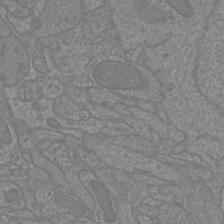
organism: Mouse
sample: Cortical neurons